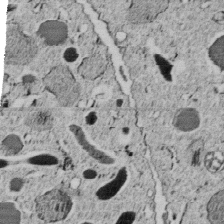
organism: C. elegans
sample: C. elegans embryo early stage